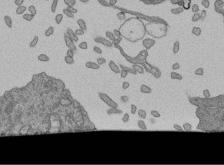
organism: Human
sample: Retinal organoid Rod and Cone cells